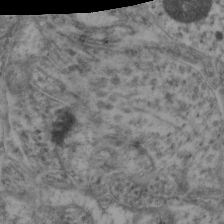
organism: Mouse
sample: Neocortex